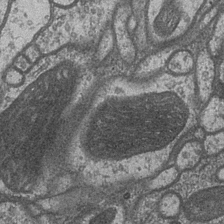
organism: Drosophila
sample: Optic medulla